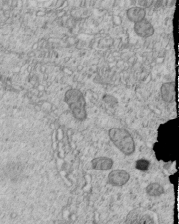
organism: C. elegans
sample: C. elegans embryo early stage